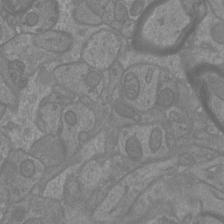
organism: Mouse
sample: Cortical neurons